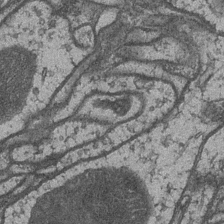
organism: Drosophila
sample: Optic medulla